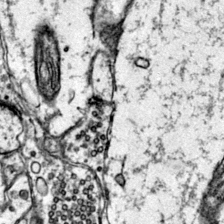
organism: Mouse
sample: Primary visual cortex